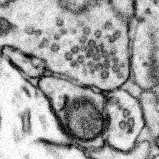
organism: Mouse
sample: Somatosensory cortex neuropil